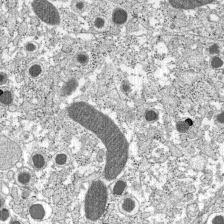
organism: C57BL Mouse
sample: Pancreatic islet